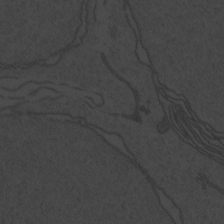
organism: Zebrafish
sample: Macrophage infected with Toxoplasma gondii